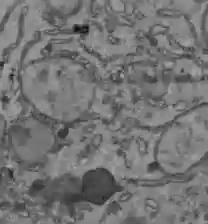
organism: C57BL Mouse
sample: Liver